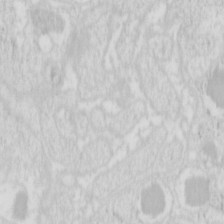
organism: Mouse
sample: Pancreas